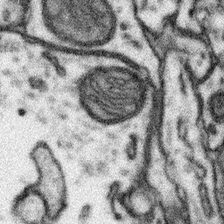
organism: Mouse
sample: Somatosensory cortex neuropil